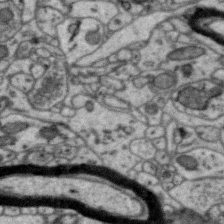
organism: Zebra finch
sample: Brain